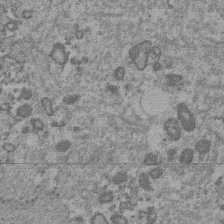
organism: Mouse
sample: Dividing mouse embryo 1 cell stage